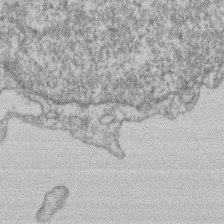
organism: Mouse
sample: T cell stromal cell synapse